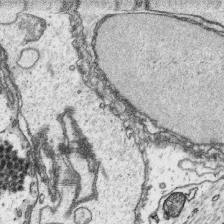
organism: Platynereis dumerilii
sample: Parapodia